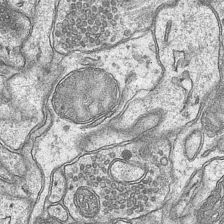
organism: Mouse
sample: CA1 Hippocampus